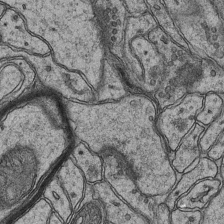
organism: Mouse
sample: CA1 Hippocampus